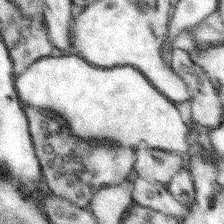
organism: Mouse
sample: Somatosensory cortex neuropil